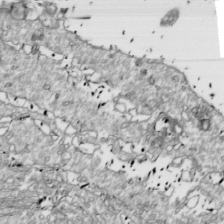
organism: Drosophila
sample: Cell division; meiosis; drosophila spermatocytes